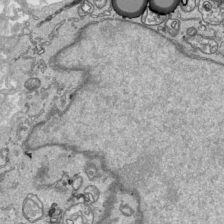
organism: Human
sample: Mitochondria in HCT116 cells